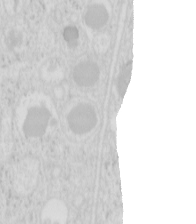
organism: Mouse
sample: Pancreas